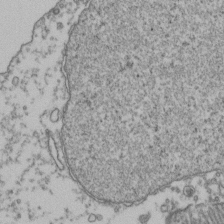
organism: Human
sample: Activated Jurkat CD4+ T cells